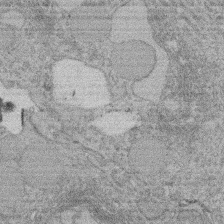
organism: Rat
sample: Salivary granule